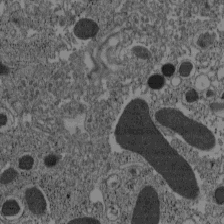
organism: C57BL Mouse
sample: Pancreatic islet